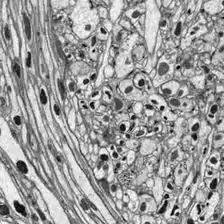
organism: Drosophila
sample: Optic lobe